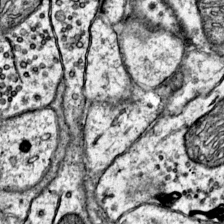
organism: Mouse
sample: Primary visual cortex